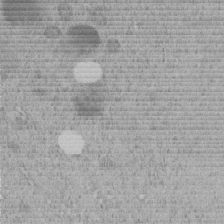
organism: C. elegans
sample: C. elegans embryo early stage